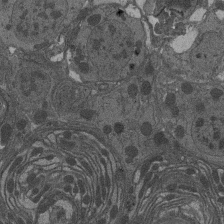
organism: Drosophila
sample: Antenna